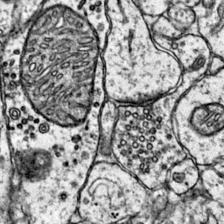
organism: Mouse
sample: Primary visual cortex